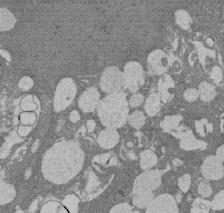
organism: Rat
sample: Salivary granule